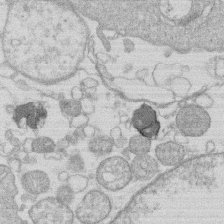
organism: Human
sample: Macrophage cells